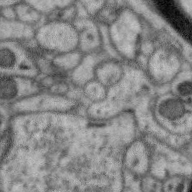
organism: Zebra finch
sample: Brain